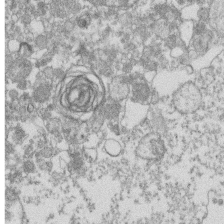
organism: Human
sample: HeLa cell HIV synapse